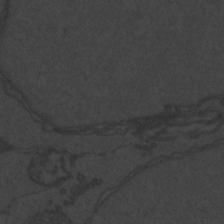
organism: Zebrafish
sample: Macrophage infected with Toxoplasma gondii